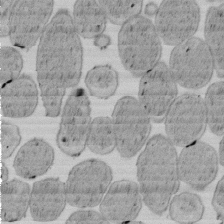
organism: E. coli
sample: Bacterial nucleoid